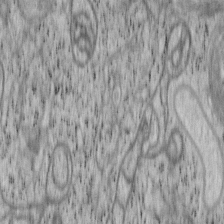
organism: Human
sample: HeLa cells